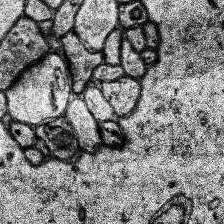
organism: Human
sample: Temporal Lobe